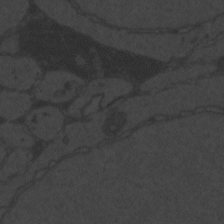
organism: Zebrafish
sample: Macrophage infected with Toxoplasma gondii